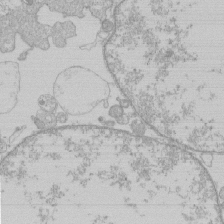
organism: Human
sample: Macrophage cells